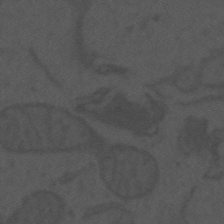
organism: Mouse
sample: Suprachiasmatic nucleus